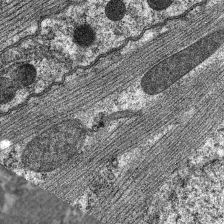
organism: C. elegans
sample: Pharynx